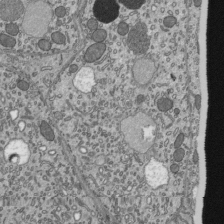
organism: Mouse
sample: Mouse epididymis efferent ductule cilia